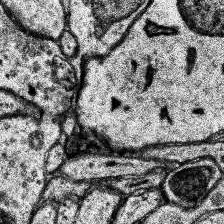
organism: Human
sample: Temporal Lobe